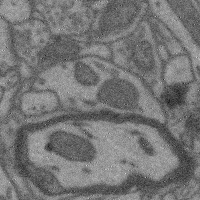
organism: Mouse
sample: Cerebral cortex